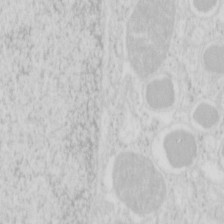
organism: Mouse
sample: Pancreas